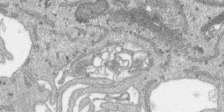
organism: Human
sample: Lung epithelial cells infected with SARS-CoV-2